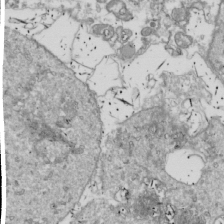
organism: Drosophila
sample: Cell division; meiosis; drosophila spermatocytes